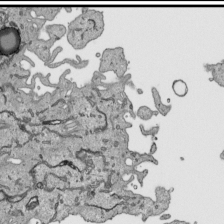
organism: Human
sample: Mitochondria in HCT116 cells